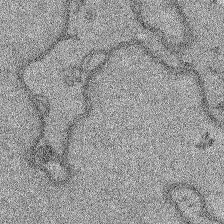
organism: Human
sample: HeLa cells